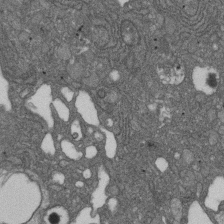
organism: Drosophila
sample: Nephrocyte